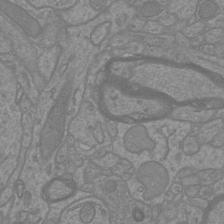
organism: Mouse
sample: Cortical neurons